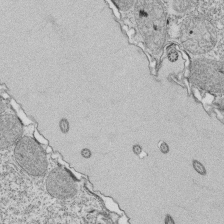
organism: Tetrahymena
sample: Cilia in tetrahymena